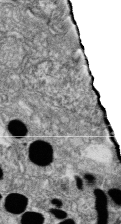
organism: Zebrafish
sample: Cilia; retinal pigment epithelium